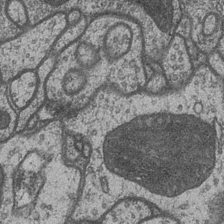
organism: Drosophila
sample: Optic medulla